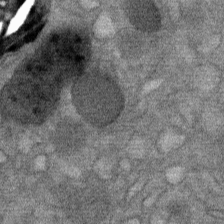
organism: Mouse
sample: Mouse Salivary gland